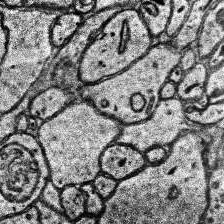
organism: Human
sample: Temporal Lobe